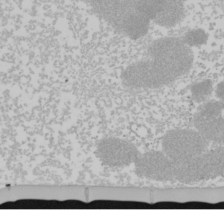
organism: Mouse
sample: Cancer cell death in ED-1 cells